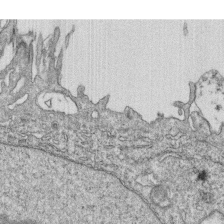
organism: Human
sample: HeLa cell HIV synapse